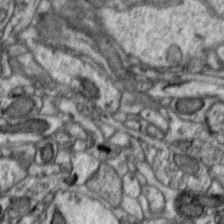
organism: Zebra finch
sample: Brain